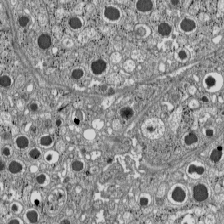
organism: C57BL Mouse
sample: Pancreatic islet